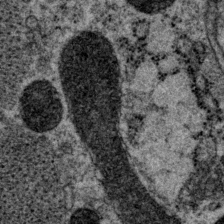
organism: P. pacificus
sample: Pharynx